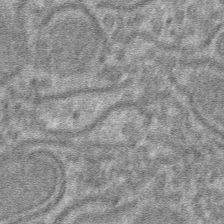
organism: Mouse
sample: Mouse hepatocytes